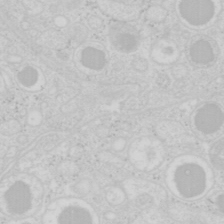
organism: Mouse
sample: Pancreas